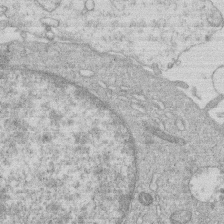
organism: Human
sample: Macrophage cells